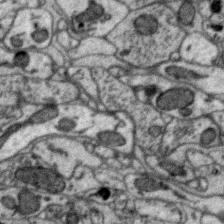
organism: Zebra finch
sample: Brain